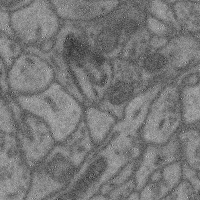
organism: Mouse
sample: Cerebral cortex